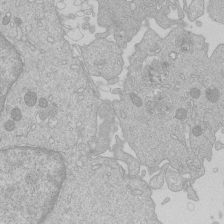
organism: Human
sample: Macrophage cells